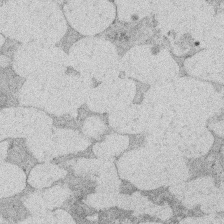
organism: Rat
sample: Salivary granule